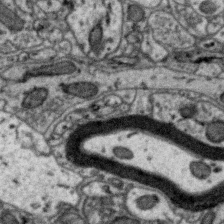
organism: Zebra finch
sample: Brain